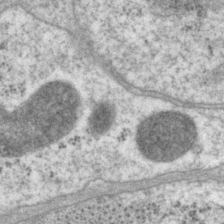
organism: P. pacificus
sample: Pharynx